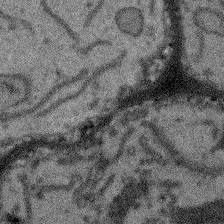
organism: Arabidopsis thaliana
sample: Root tip